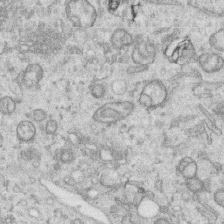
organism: Human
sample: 1205lu cells